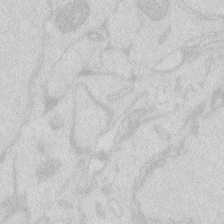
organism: Zebrafish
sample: Macrophage